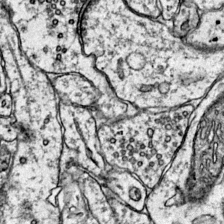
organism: Mouse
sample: Primary visual cortex